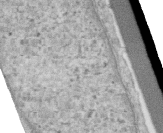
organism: Human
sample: Centriole in RPE cells